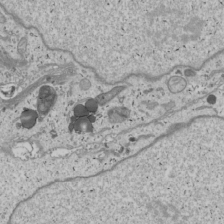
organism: Human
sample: Mitochondria in U2OS cells